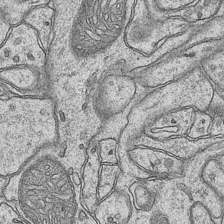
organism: Mouse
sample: CA1 Hippocampus